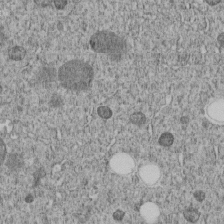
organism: C. elegans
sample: C. elegans embryo early stage